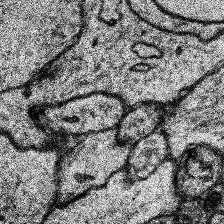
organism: Human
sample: Temporal Lobe